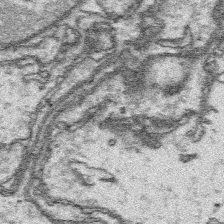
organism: Platynereis dumerilii